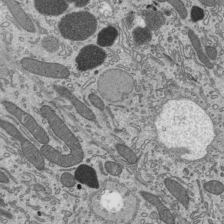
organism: Mouse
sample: Mouse epididymis efferent ductule cilia